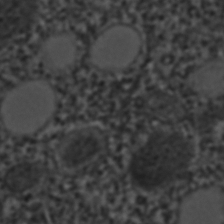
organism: C. elegans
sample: C. elegans embryo